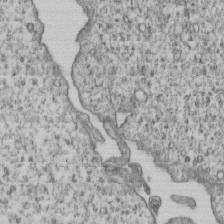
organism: Human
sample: MDA-MB-231 cells